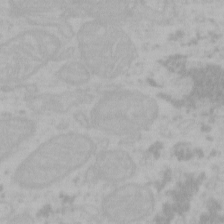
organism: Mouse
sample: Choroid plexus